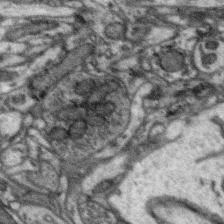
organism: Zebra finch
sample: Brain